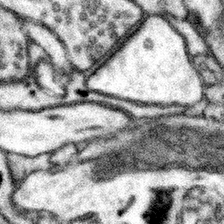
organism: Mouse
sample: Somatosensory cortex neuropil